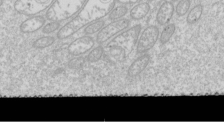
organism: Drosophila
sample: Cell division; meiosis; drosophila spermatocytes